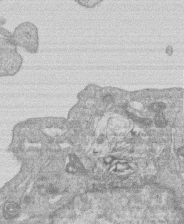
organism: Human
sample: Macrophage cells